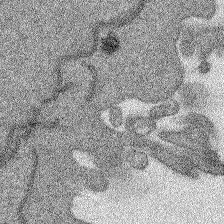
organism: Human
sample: HeLa cells